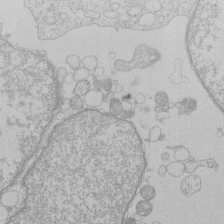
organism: Human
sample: Macrophage cells